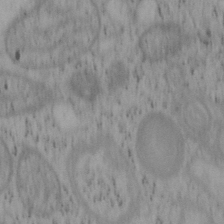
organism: Mouse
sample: OT-I killer T cells with ID8 ovarian cancer cells